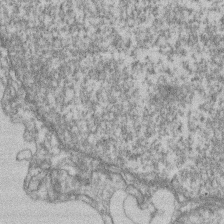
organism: Mouse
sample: T cell stromal cell synapse